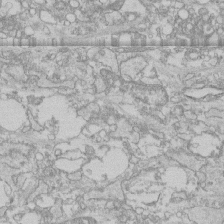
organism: Human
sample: CRL-1474